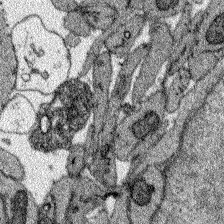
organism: Zebrafish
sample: Larval olfactory bulb